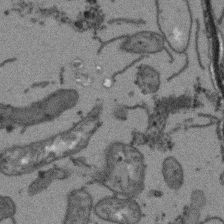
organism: Arabidopsis thaliana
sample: Root tip